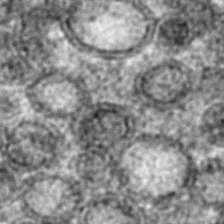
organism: C. elegans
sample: C. elegans embryo